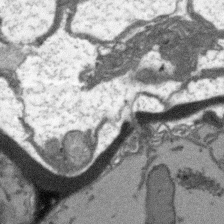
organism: Arabidopsis thaliana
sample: Root tip